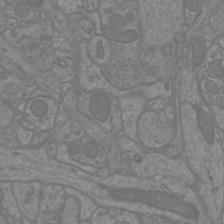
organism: Mouse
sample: Cortical neurons